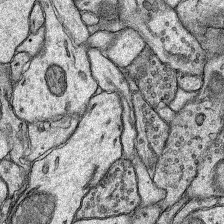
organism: Rat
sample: Hippocampus